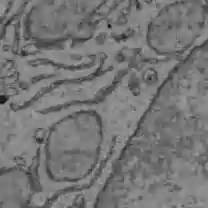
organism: C57BL Mouse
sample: Liver